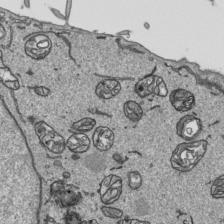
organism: Human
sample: Mitochondria in HCT116 cells